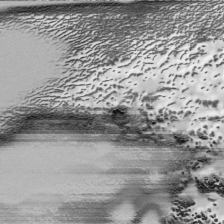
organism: Drosophila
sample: Cell division; meiosis; drosophila spermatocytes